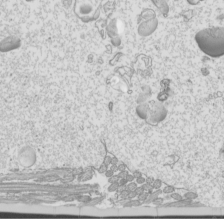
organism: Mouse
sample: Cilia; mouse epididymis